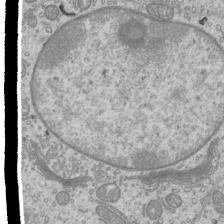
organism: Mouse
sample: Cilia; mouse epididymis